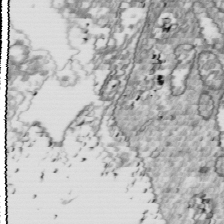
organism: Drosophila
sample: Cell division; meiosis; drosophila spermatocytes